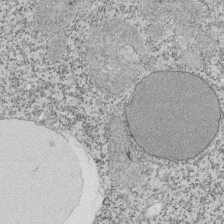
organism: Tetrahymena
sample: Cilia in tetrahymena